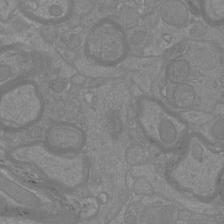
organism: Mouse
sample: Cortical neurons